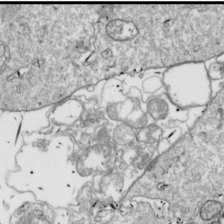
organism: Drosophila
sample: Cell division; meiosis; drosophila spermatocytes